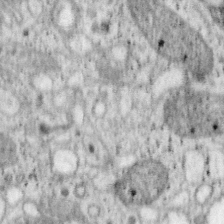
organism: Mouse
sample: OT-I killer T cells with ID8 ovarian cancer cells